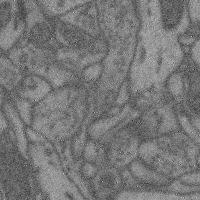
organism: Mouse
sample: Cerebral cortex